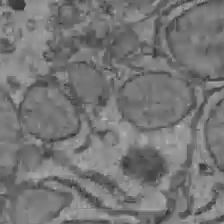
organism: C57BL Mouse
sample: Liver